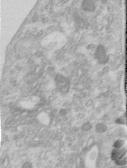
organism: Human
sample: Centriole in RPE cells